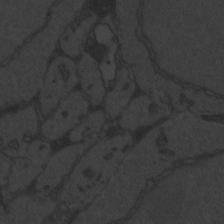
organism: Zebrafish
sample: Macrophage infected with Toxoplasma gondii